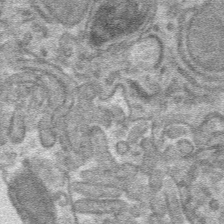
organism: Mouse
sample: Mouse hepatocytes